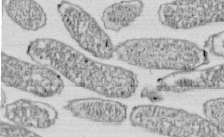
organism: E. coli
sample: Bacterial nucleoid